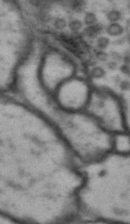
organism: Drosophila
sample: Brain